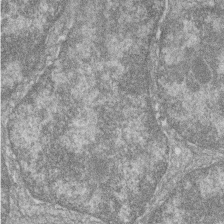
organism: Zebrafish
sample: Cilia; retinal pigment epithelium